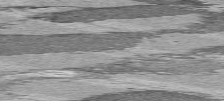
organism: C57BL Mouse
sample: Heart